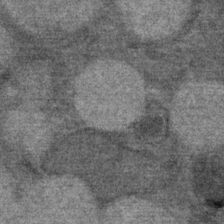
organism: Mouse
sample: Mouse Salivary gland